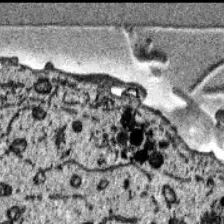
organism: Human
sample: HeLa cells